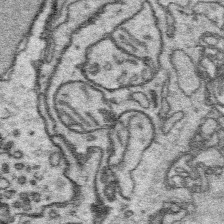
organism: Platynereis dumerilii